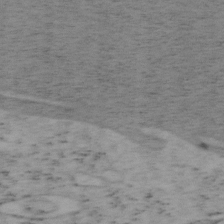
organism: Mouse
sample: OT-I killer T cells with ID8 ovarian cancer cells